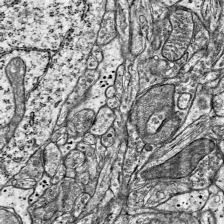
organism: Mouse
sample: Visual Cortex